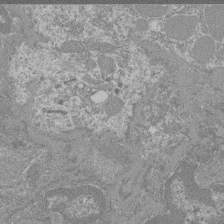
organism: Mouse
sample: Glomerulus